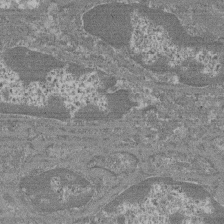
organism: Mouse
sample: Glomerulus